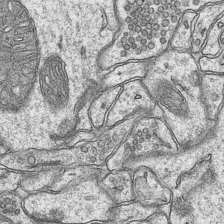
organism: Mouse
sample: CA1 Hippocampus